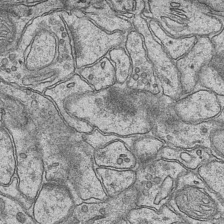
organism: Mouse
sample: CA1 Hippocampus